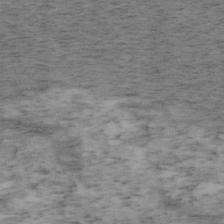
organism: Mouse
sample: OT-I killer T cells with ID8 ovarian cancer cells